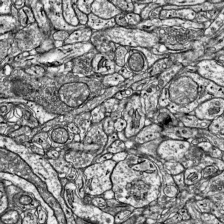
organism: Mouse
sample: Visual Cortex